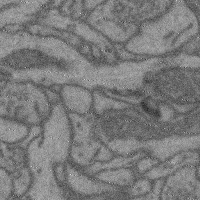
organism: Mouse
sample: Cerebral cortex